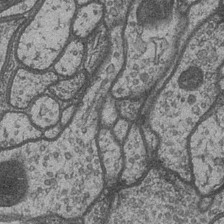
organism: Drosophila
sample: Optic medulla